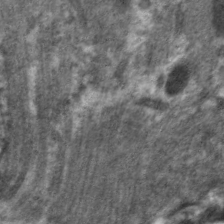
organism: C. elegans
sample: Pharynx